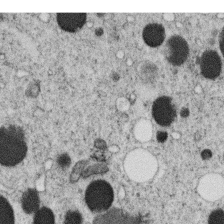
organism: C. elegans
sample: C. elegans oocyte; sperm cells